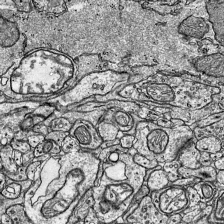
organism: Mouse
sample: Visual Cortex